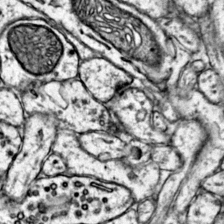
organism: Mouse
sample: Primary visual cortex